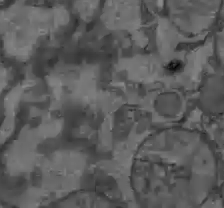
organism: C57BL Mouse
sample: Liver